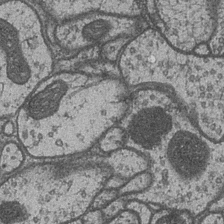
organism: Drosophila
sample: Optic medulla